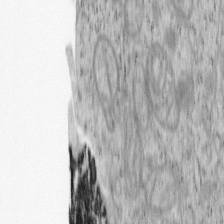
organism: Human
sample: HeLa cells